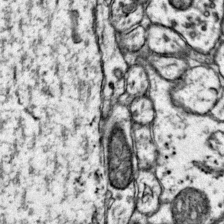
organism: Mouse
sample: Primary visual cortex